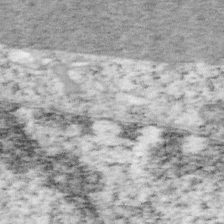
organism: Mouse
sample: OT-I killer T cells with ID8 ovarian cancer cells